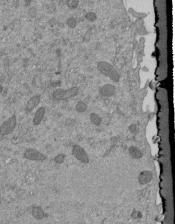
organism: Mouse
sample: ED-1 cell nuclei; centrioles